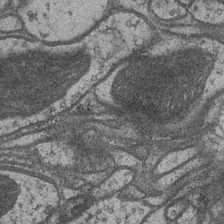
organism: Drosophila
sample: Optic medulla